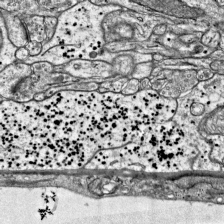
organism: Mouse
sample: Visual Cortex